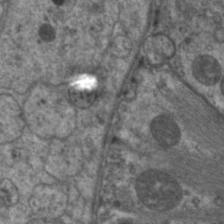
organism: C. elegans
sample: Pharynx